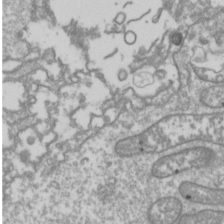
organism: Drosophila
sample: Cell division; meiosis; drosophila spermatocytes